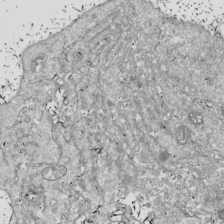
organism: Drosophila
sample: Cell division; meiosis; drosophila spermatocytes